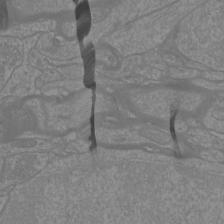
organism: Mouse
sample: Cortical neurons